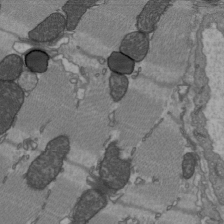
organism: C57BL Mouse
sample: Heart